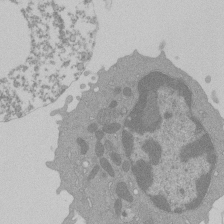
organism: Mouse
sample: Activated Pmel transgenic CD8+ T Cells